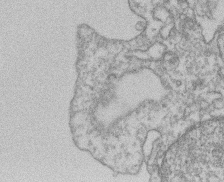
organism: Mouse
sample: T cell stromal cell synapse